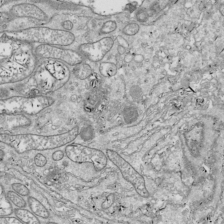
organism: Drosophila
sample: Cell division; meiosis; drosophila spermatocytes